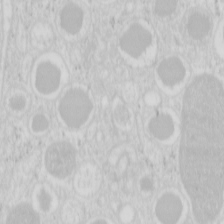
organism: Mouse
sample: Pancreas